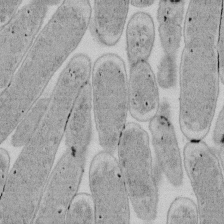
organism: E. coli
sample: Bacterial nucleoid